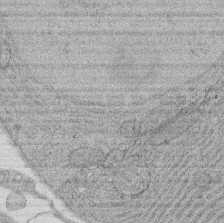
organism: Rat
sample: Salivary granule